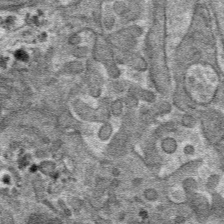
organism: Mouse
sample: Mouse hepatocytes